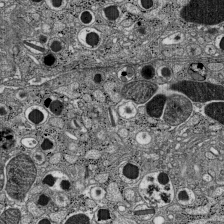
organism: C57BL Mouse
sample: Pancreatic islet